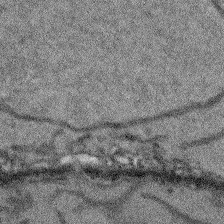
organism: Arabidopsis thaliana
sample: Root tip